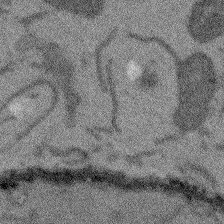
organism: Arabidopsis thaliana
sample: Root tip